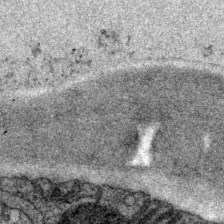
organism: P. pacificus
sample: Pharynx